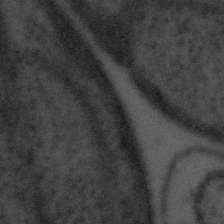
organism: Tuwongella immobilis